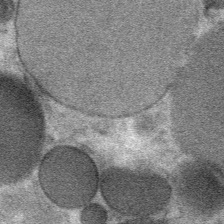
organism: Mouse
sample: Mouse Salivary gland